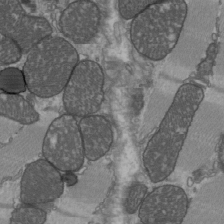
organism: C57BL Mouse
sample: Heart